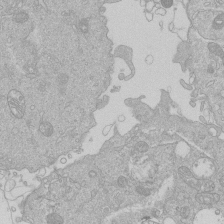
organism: Human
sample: Macrophage cells